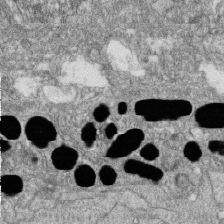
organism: Zebrafish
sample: Cilia; retinal pigment epithelium